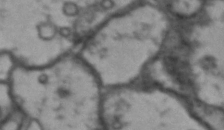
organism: Drosophila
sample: Brain